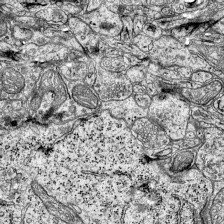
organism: Mouse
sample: Visual Cortex